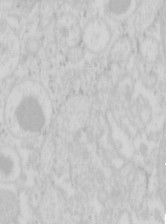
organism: Mouse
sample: Pancreas